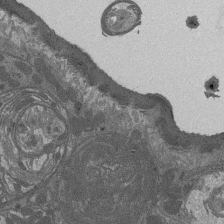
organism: Drosophila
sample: Antenna